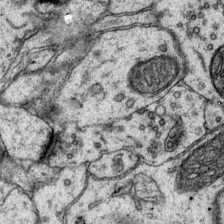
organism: Mouse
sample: Primary visual cortex